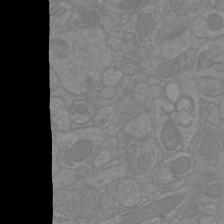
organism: Mouse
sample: Cortical neurons